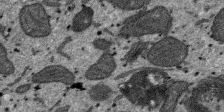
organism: Human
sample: Lung epithelial cells, uninfected (mock) control